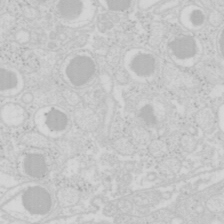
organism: Mouse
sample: Pancreas